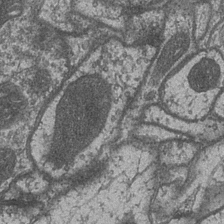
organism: Drosophila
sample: Optic medulla